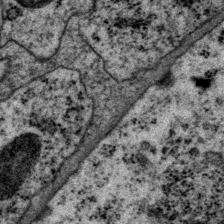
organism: P. pacificus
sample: Pharynx